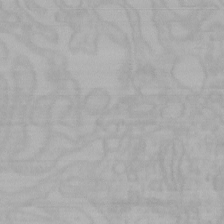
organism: Mouse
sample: Choroid plexus